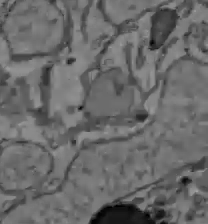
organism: C57BL Mouse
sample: Liver